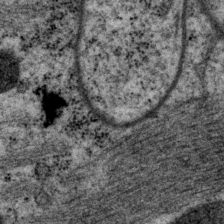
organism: P. pacificus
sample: Pharynx